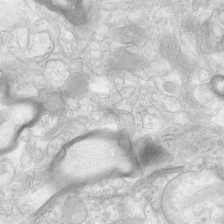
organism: Human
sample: Neocortex